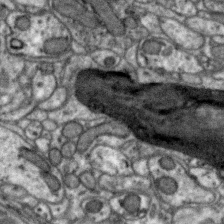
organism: Zebra finch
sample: Brain